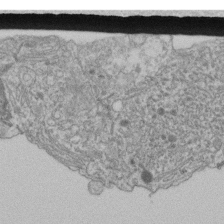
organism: Human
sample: Retinal organoid Rod and Cone cells